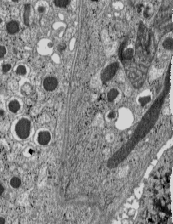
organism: C57BL Mouse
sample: Pancreatic islet